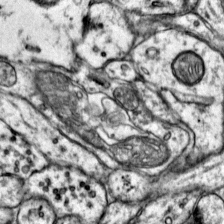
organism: Mouse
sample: Primary visual cortex